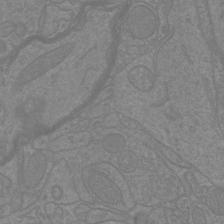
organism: Mouse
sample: Cortical neurons